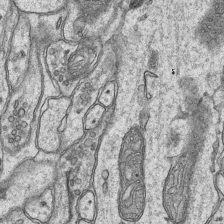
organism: Mouse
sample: CA1 Hippocampus